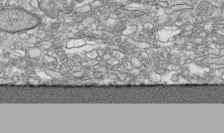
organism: Human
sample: CRL-1474